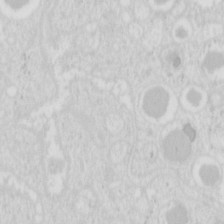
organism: Mouse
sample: Pancreas